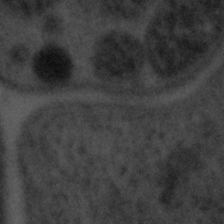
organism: Tuwongella immobilis